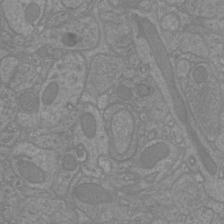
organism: Mouse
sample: Cortical neurons